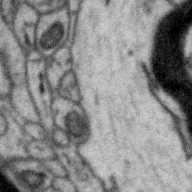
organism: Zebra finch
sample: Brain